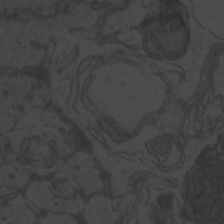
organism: Zebrafish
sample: Macrophage infected with Toxoplasma gondii